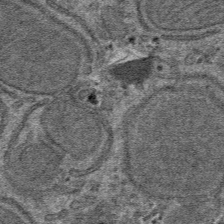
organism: Mouse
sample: Mouse hepatocytes